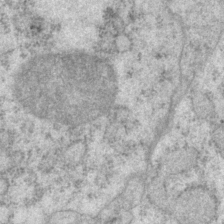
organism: P. pacificus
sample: Pharynx